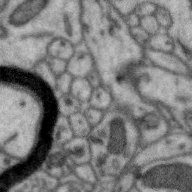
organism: Zebra finch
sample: Brain